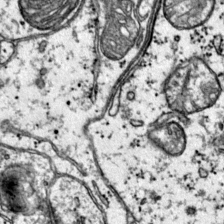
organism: Mouse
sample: Primary visual cortex